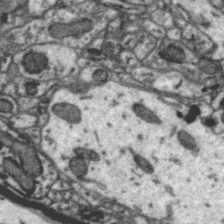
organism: Zebra finch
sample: Brain